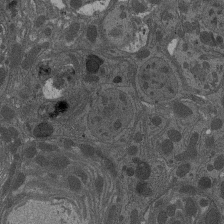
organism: Drosophila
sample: Antenna